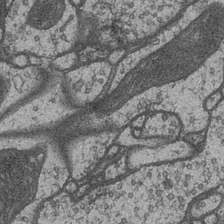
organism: Drosophila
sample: Optic medulla